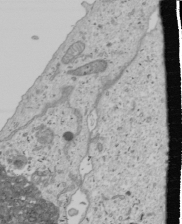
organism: Human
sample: Mitochondria in U2OS cells